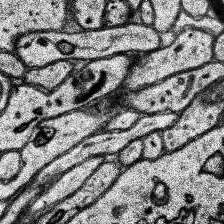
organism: Human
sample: Temporal Lobe